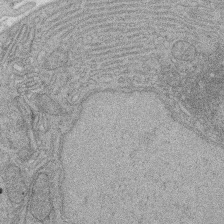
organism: Rat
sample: Salivary granule